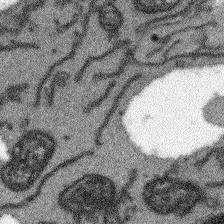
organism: Arabidopsis thaliana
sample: Root tip